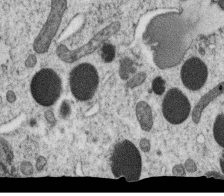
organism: C. elegans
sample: C. elegans oocyte; sperm cells